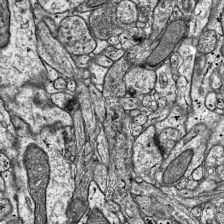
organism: Mouse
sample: Visual Cortex